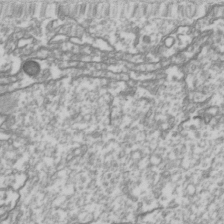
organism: Drosophila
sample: Cell division; meiosis; drosophila spermatocytes